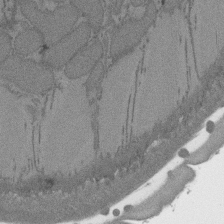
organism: C. elegans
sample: AFD neurons C. elegans